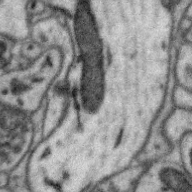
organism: Zebra finch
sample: Brain